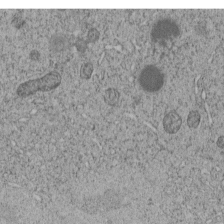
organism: C. elegans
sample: C. elegans embryo early stage